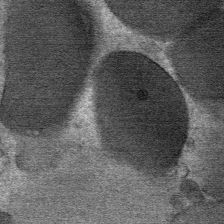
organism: Mouse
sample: Mouse Salivary gland